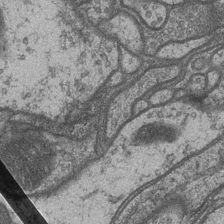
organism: Drosophila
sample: Optic medulla